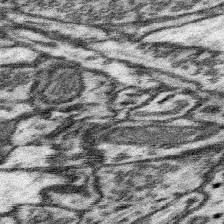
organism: Mouse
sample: Somatosensory cortex neuropil